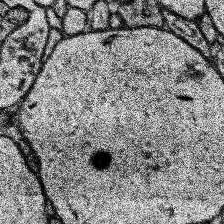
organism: Human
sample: Temporal Lobe